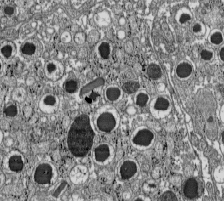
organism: C57BL Mouse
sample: Pancreatic islet